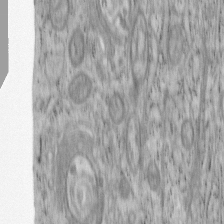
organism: Human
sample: HeLa cells